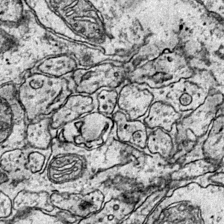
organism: Mouse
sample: Primary visual cortex